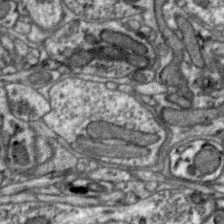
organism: Zebra finch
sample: Brain